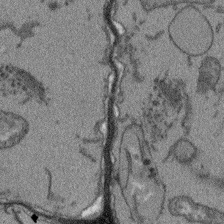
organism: Arabidopsis thaliana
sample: Root tip